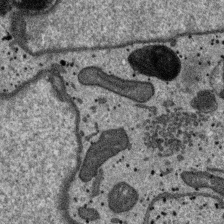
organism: Human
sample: Lung epithelial cells, uninfected (mock) control